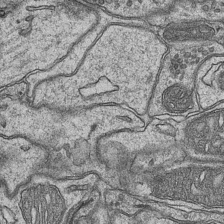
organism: Mouse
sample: CA1 Hippocampus